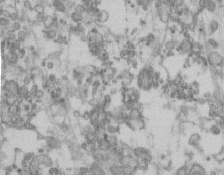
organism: Human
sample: Centriole in RPE cells